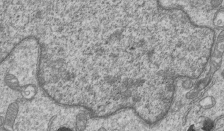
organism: Human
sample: MDA-MB-231 cells